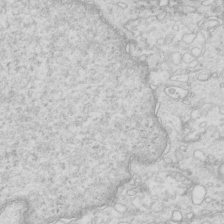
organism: Mouse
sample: Multiciliated cells